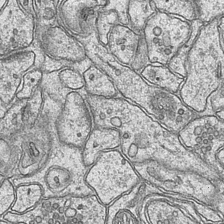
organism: Mouse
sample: CA1 Hippocampus